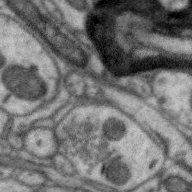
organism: Zebra finch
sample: Brain